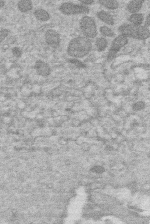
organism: Human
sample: Macrophage cells